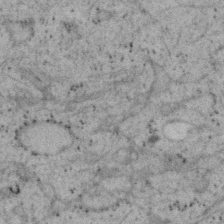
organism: Human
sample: HeLa cells